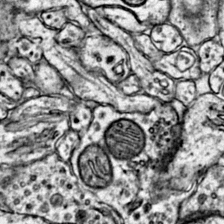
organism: Mouse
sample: Primary visual cortex